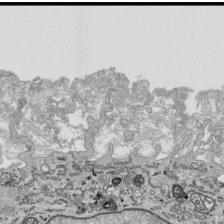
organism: Human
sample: Mitochondria in HCT116 cells